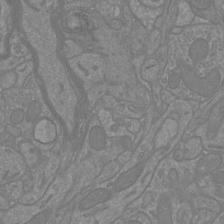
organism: Mouse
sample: Cortical neurons